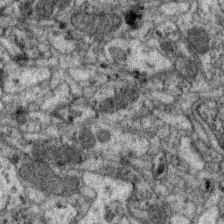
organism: Zebra finch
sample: Brain